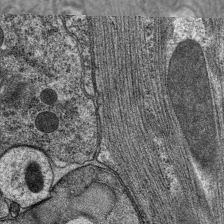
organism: C. elegans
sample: Pharynx